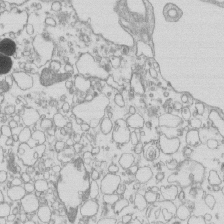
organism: Mouse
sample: Macrophages